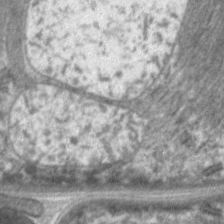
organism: C. elegans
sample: Pharynx